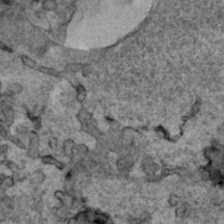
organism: Human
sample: Mitochondria in HCT116 cells